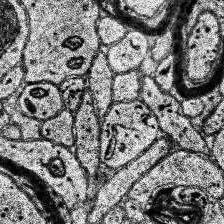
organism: Human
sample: Temporal Lobe